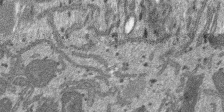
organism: Human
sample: Lung epithelial cells infected with SARS-CoV-2